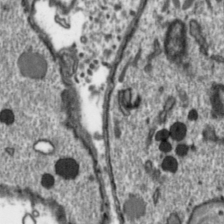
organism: Toxoplasma gondii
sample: Parasites in a vacuole inside a host cell